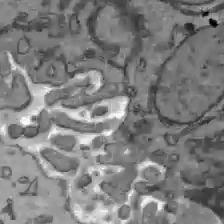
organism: C57BL Mouse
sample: Liver